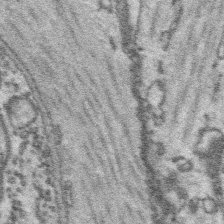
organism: Platynereis dumerilii